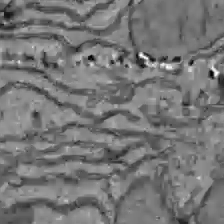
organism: C57BL Mouse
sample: Liver